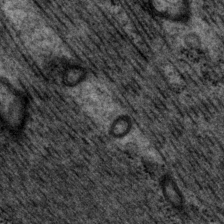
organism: P. pacificus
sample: Pharynx